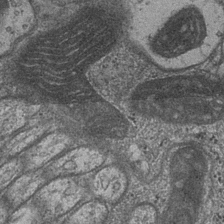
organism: Drosophila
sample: Optic medulla